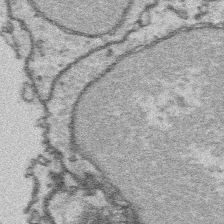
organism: Platynereis dumerilii